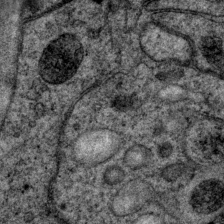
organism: P. pacificus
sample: Pharynx